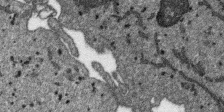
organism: Human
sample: Lung epithelial cells infected with SARS-CoV-2